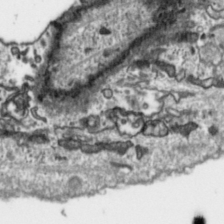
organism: Toxoplasma gondii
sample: Parasites in a vacuole inside a host cell